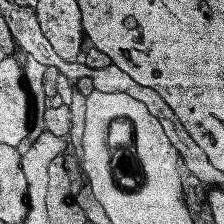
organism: Human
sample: Temporal Lobe